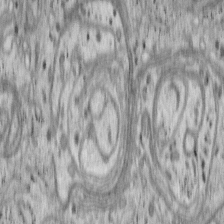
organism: Human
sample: HeLa cells